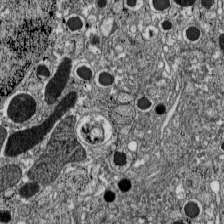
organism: C57BL Mouse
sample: Pancreatic islet